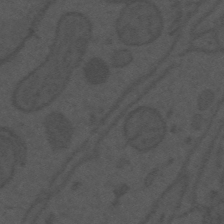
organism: Mouse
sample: Suprachiasmatic nucleus